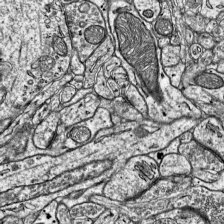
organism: Mouse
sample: Visual Cortex